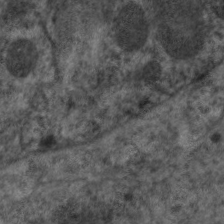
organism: C. elegans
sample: Pharynx